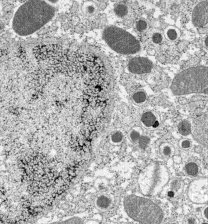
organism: C57BL Mouse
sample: Pancreatic islet